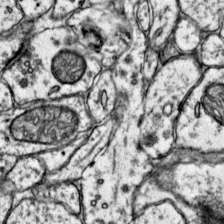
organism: Mouse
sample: Primary visual cortex